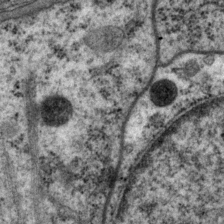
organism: P. pacificus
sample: Pharynx